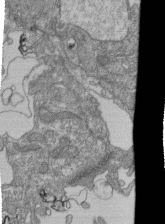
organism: Human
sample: Retinal organoid Rod and Cone cells